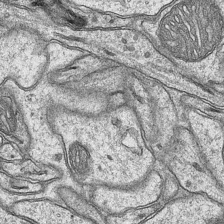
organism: Mouse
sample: CA1 Hippocampus